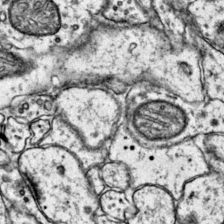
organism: Mouse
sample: Primary visual cortex